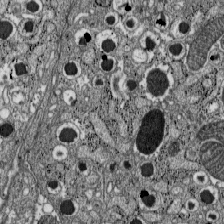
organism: C57BL Mouse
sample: Pancreatic islet